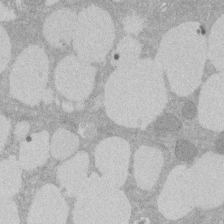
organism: Rat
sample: Salivary granule